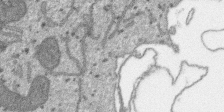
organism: Human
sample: Lung epithelial cells infected with SARS-CoV-2